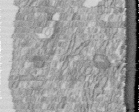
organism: Human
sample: Centriole in fibroblast cells